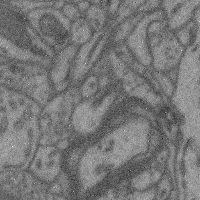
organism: Mouse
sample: Cerebral cortex